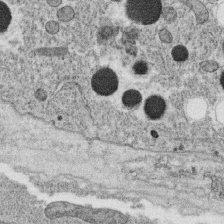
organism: C. elegans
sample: C. elegans oocyte; sperm cells